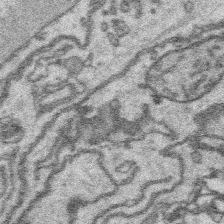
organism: Platynereis dumerilii